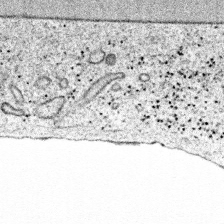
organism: Human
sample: HeLa cells